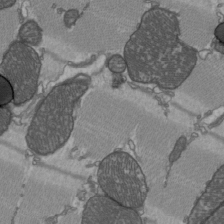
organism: C57BL Mouse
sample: Heart